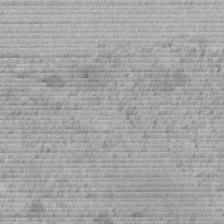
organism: C. elegans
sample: C. elegans embryo early stage